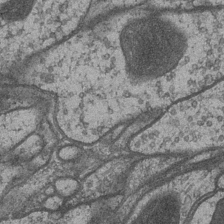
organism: Drosophila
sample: Optic medulla